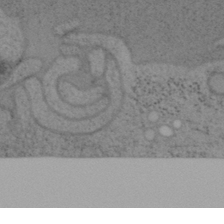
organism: Mouse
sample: OT-I killer T cells with ID8 ovarian cancer cells